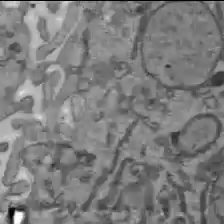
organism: C57BL Mouse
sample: Liver